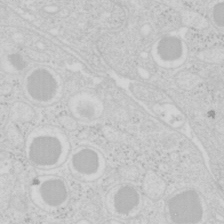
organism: Mouse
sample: Pancreas